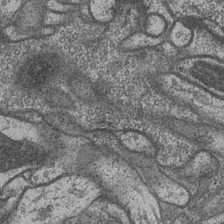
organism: Drosophila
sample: Optic medulla